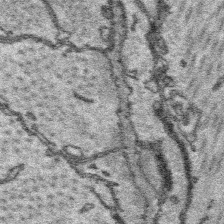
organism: Platynereis dumerilii